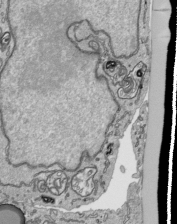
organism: Human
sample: Mitochondria in HCT116 cells